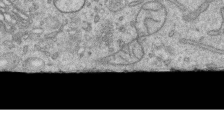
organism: Human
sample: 1205lu cells